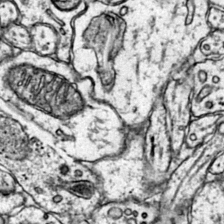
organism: Mouse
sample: Primary visual cortex